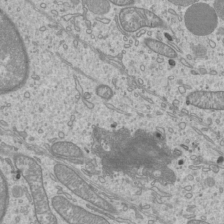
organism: Mouse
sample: Cilia; mouse epididymis